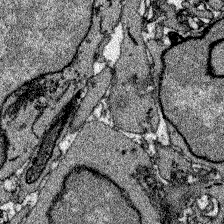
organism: Zebrafish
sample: Larval olfactory bulb